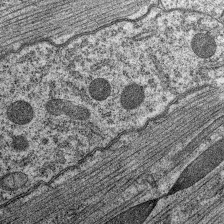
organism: C. elegans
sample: Pharynx